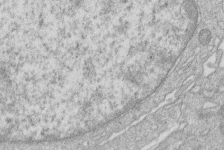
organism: Human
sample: Macrophage cells